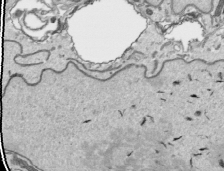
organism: Human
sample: Mitochondria in HCT116 cells